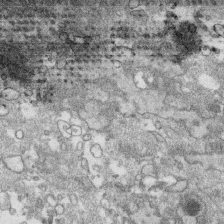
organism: Human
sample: CRL-1474